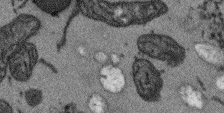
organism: Arabidopsis thaliana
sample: Root tip